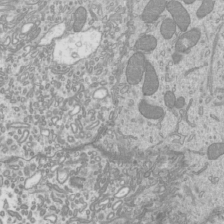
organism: Mouse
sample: Cilia; mouse epididymis